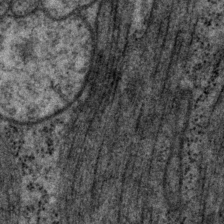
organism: P. pacificus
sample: Pharynx